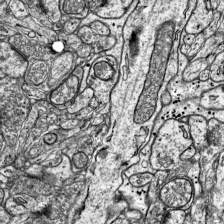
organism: Mouse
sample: Visual Cortex